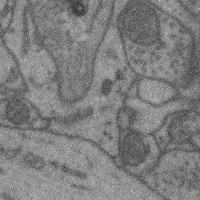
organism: Mouse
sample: Cerebral cortex